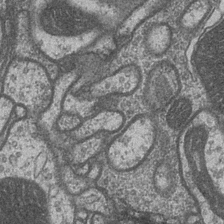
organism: Drosophila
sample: Optic medulla